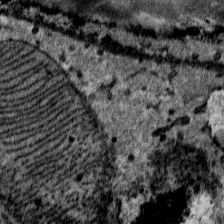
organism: Mouse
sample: Mouse Salivary gland